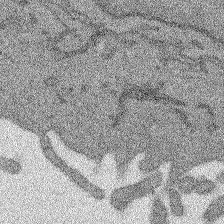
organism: Human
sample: HeLa cells